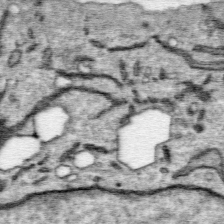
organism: Human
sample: HeLa cells